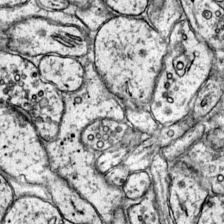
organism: Mouse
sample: Primary visual cortex